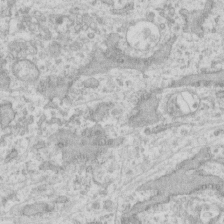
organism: Human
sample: Fibroblast cells